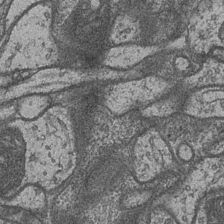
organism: Drosophila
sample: Optic medulla